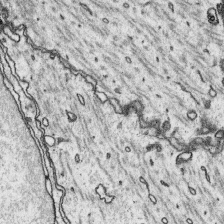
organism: Platynereis dumerilii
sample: Parapodia